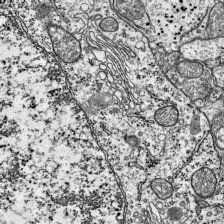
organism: Mouse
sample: Visual Cortex